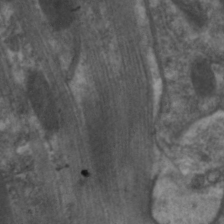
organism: C. elegans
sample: Pharynx